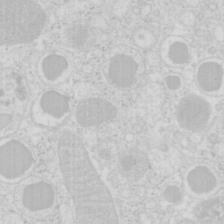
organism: Mouse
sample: Pancreas